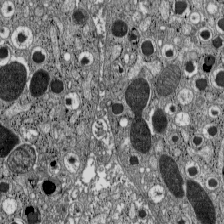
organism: C57BL Mouse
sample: Pancreatic islet